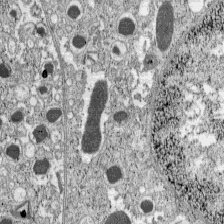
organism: C57BL Mouse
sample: Pancreatic islet